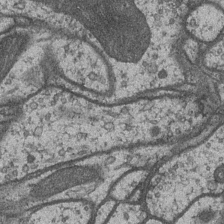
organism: Drosophila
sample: Optic medulla